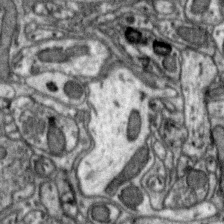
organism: Zebra finch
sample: Brain